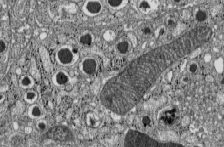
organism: C57BL Mouse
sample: Pancreatic islet